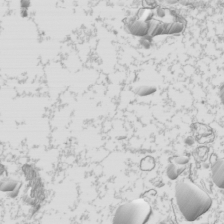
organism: Mouse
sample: Cilia; mouse epididymis